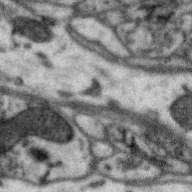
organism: Zebra finch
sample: Brain